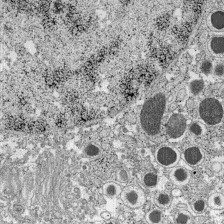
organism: C57BL Mouse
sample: Pancreatic islet